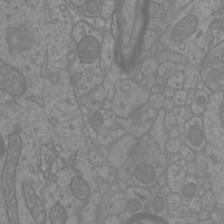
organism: Mouse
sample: Cortical neurons